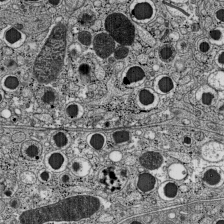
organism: C57BL Mouse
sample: Pancreatic islet